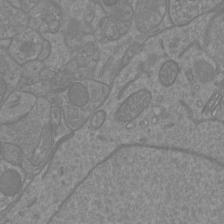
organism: Mouse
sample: Cortical neurons